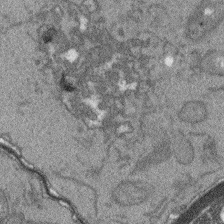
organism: Arabidopsis thaliana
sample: Root tip